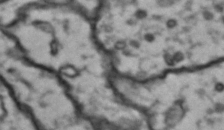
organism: Drosophila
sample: Brain